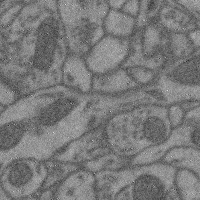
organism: Mouse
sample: Cerebral cortex